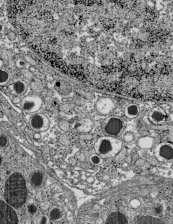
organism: C57BL Mouse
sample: Pancreatic islet